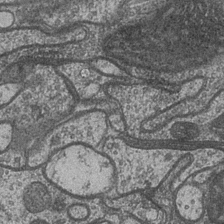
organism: Drosophila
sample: Optic medulla